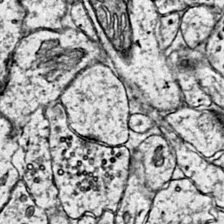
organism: Mouse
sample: Primary visual cortex